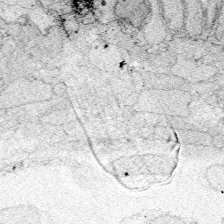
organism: Zebrafish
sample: Whole-Brain